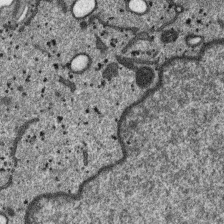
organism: Human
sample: Lung epithelial cells infected with SARS-CoV-2